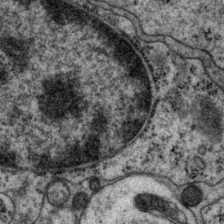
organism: P. pacificus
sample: Pharynx